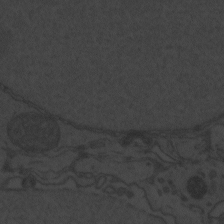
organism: Zebrafish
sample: Macrophage infected with Toxoplasma gondii